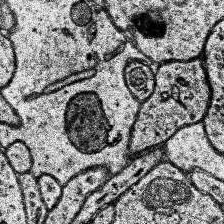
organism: Human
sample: Temporal Lobe